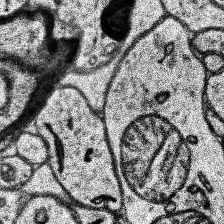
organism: Human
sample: Temporal Lobe